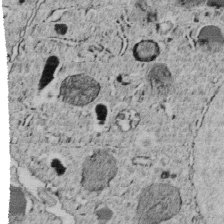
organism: C. elegans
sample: C. elegans embryo early stage